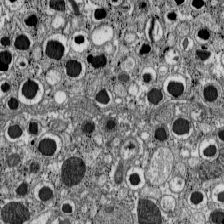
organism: C57BL Mouse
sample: Pancreatic islet